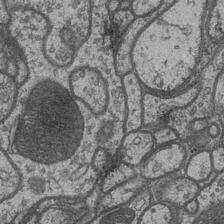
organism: Drosophila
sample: Optic medulla